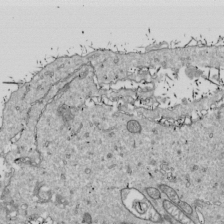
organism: Drosophila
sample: Cell division; meiosis; drosophila spermatocytes